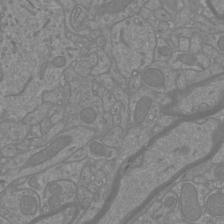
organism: Mouse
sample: Cortical neurons